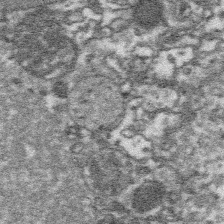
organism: Platynereis dumerilii